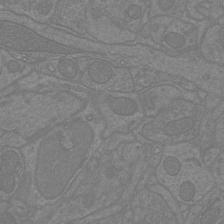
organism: Mouse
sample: Cortical neurons